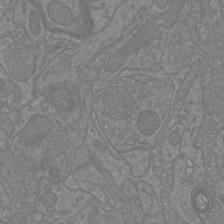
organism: Mouse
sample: Cortical neurons